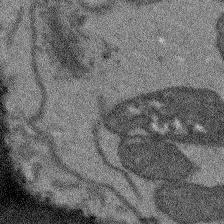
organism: Arabidopsis thaliana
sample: Root tip